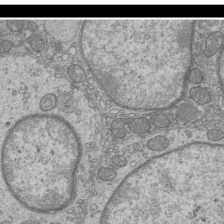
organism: Mouse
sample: Cilia; mouse epididymis